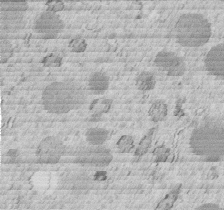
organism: C. elegans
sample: C. elegans embryo early stage